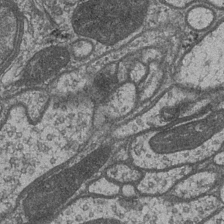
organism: Drosophila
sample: Optic medulla